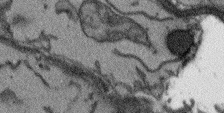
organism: Arabidopsis thaliana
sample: Root tip